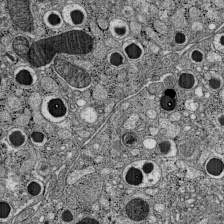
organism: C57BL Mouse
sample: Pancreatic islet